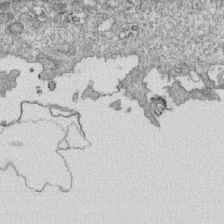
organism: Human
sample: HeLa cell HIV synapse